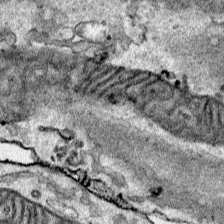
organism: Human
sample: Mitochondria in HCT116 cells